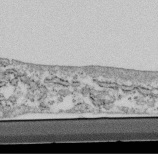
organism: Mouse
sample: Cilia; retinal pigment epithelium